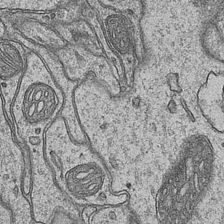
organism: Mouse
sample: CA1 Hippocampus